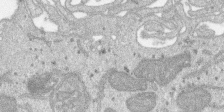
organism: Human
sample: Lung epithelial cells infected with SARS-CoV-2